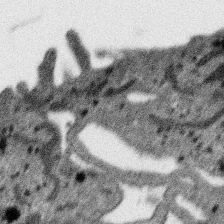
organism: Human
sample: Lung epithelial cells infected with SARS-CoV-2